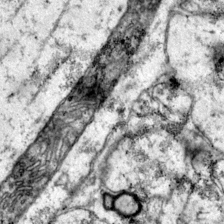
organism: Mouse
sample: Primary visual cortex